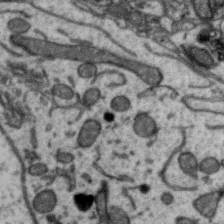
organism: Zebra finch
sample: Brain